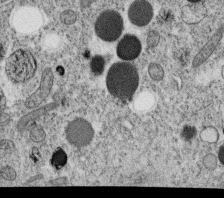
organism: C. elegans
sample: C. elegans oocyte; sperm cells